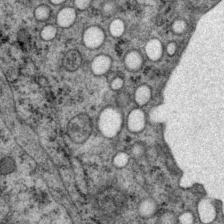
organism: P. pacificus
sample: Pharynx